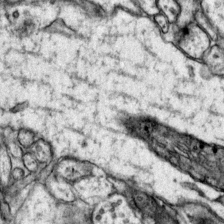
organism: Mouse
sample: Primary visual cortex